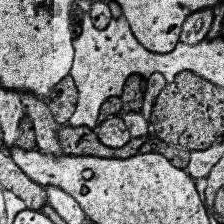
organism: Human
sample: Temporal Lobe